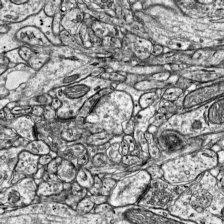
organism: Mouse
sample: Visual Cortex